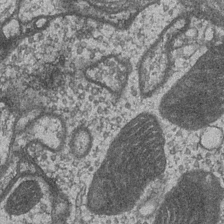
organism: Drosophila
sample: Optic medulla